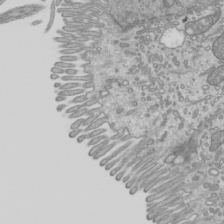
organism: Mouse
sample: Cilia; mouse epididymis